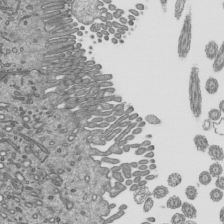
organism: Mouse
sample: Mouse epididymis efferent ductule cilia